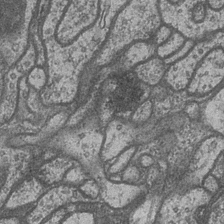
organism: Drosophila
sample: Optic medulla